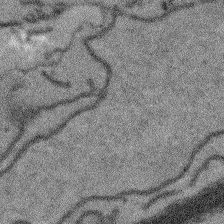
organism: Arabidopsis thaliana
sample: Root tip